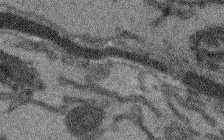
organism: Arabidopsis thaliana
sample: Root tip